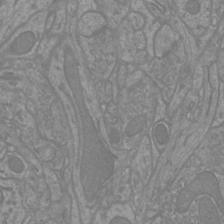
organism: Mouse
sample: Cortical neurons